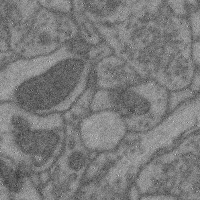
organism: Mouse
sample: Cerebral cortex